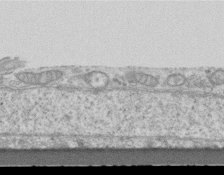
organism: Mouse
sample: Centriole in ependymal cells